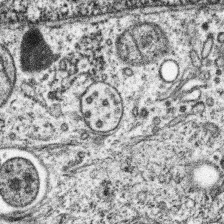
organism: Human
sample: HeLa cells